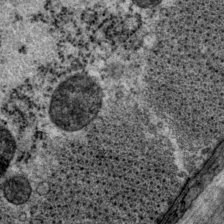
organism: P. pacificus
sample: Pharynx